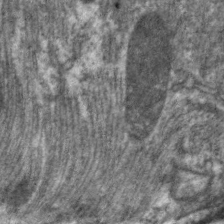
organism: C. elegans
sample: Pharynx